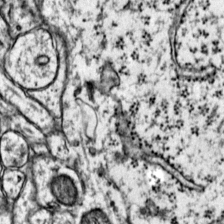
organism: Mouse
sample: Primary visual cortex